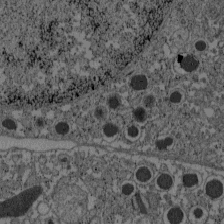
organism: C57BL Mouse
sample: Pancreatic islet